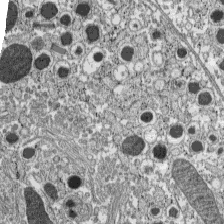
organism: C57BL Mouse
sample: Pancreatic islet